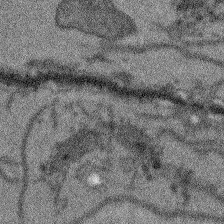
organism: Arabidopsis thaliana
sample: Root tip